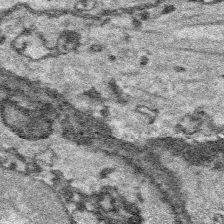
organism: Platynereis dumerilii